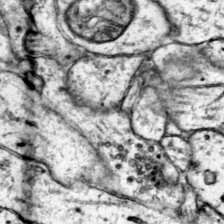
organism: Mouse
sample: Primary visual cortex